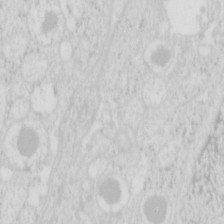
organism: Mouse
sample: Pancreas